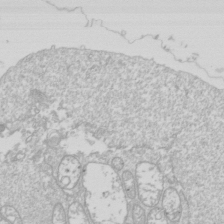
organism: Drosophila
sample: Cell division; meiosis; drosophila spermatocytes